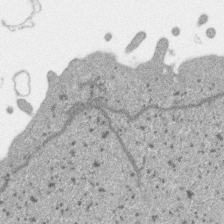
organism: Human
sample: Lung epithelial cells infected with SARS-CoV-2